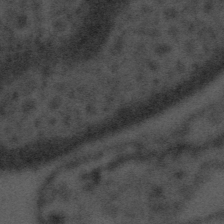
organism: Tuwongella immobilis